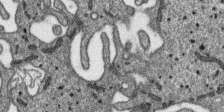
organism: Human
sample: Lung epithelial cells infected with SARS-CoV-2